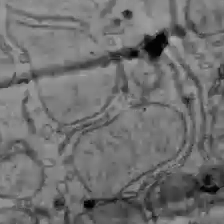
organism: C57BL Mouse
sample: Liver